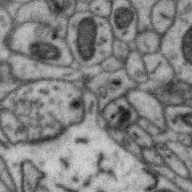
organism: Zebra finch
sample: Brain